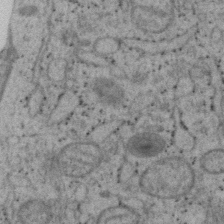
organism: Human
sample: HeLa cells